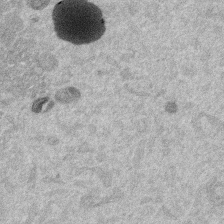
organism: Mouse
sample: Dividing mouse embryo 1 cell stage